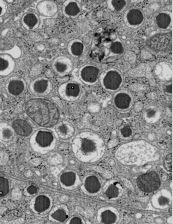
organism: C57BL Mouse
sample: Pancreatic islet